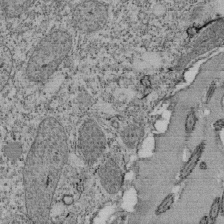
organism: Tetrahymena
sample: Cilia in tetrahymena